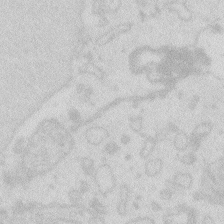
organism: Zebrafish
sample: Macrophage